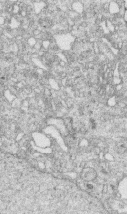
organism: Human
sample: HeLa cell HIV synapse